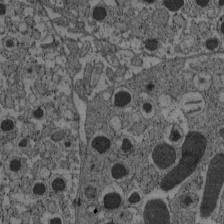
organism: C57BL Mouse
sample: Pancreatic islet